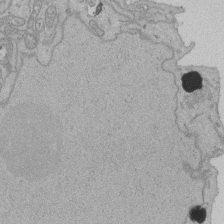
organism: Human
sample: Activated Jurkat CD4+ T cells